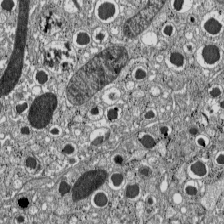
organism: C57BL Mouse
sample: Pancreatic islet